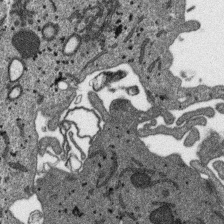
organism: Human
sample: Lung epithelial cells infected with SARS-CoV-2